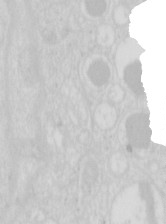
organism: Mouse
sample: Pancreas